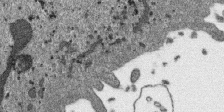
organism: Human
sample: Lung epithelial cells infected with SARS-CoV-2